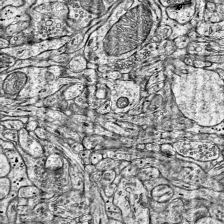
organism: Mouse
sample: Visual Cortex